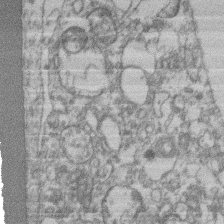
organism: Mouse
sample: T cell stromal cell synapse